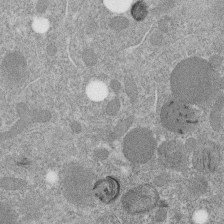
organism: C. elegans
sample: C. elegans embryo early stage